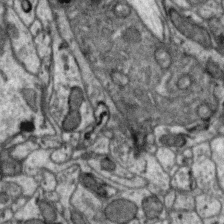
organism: Zebra finch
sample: Brain